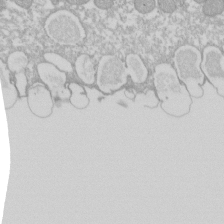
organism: Xenopus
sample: Cilia; centrioles in frog embryo cells